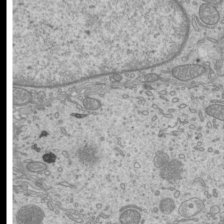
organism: Mouse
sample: Cilia; mouse epididymis